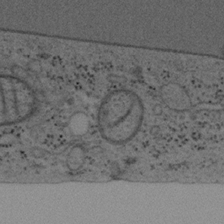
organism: Human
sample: HeLa cells